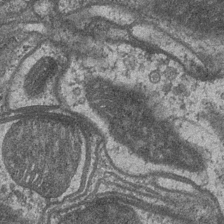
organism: Drosophila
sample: Optic medulla